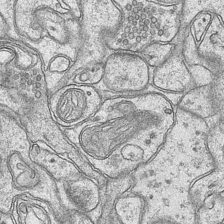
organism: Mouse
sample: CA1 Hippocampus